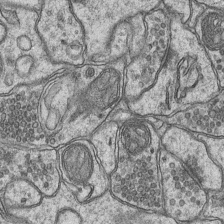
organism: Mouse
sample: CA1 Hippocampus